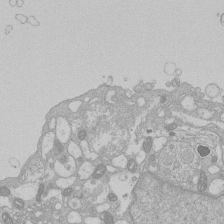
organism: Human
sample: Macrophage cells